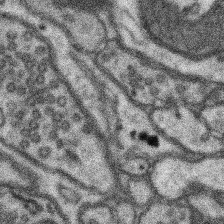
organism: Mouse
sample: Somatosensory cortex neuropil